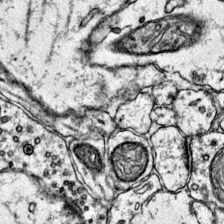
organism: Mouse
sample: Primary visual cortex